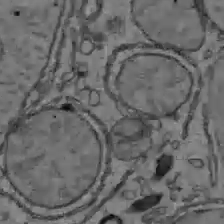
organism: C57BL Mouse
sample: Liver